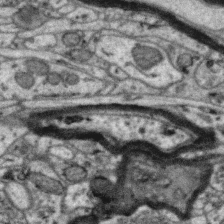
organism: Zebra finch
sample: Brain